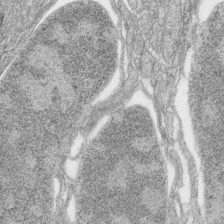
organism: Zebrafish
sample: synaptic ribbons in rod cells and cone cells